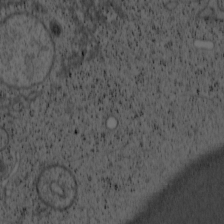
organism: African green monkey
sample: COS-7 cells